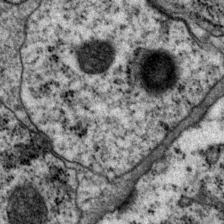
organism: P. pacificus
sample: Pharynx